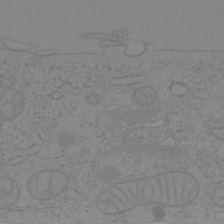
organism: Human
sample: HeLa cells